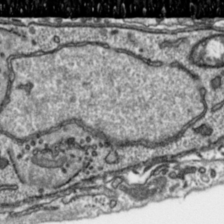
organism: Toxoplasma gondii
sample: Parasites in a vacuole inside a host cell